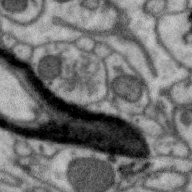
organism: Zebra finch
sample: Brain